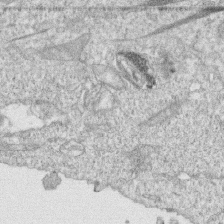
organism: Human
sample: HeLa cell HIV synapse